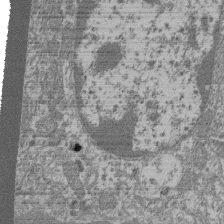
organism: Mouse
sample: Glomerulus